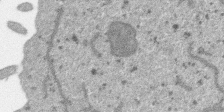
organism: Human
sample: Lung epithelial cells infected with SARS-CoV-2